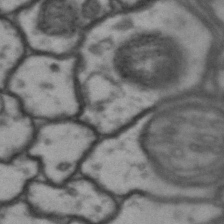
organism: Drosophila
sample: Brain